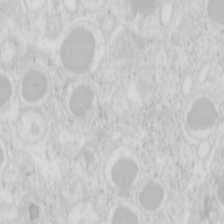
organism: Mouse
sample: Pancreas